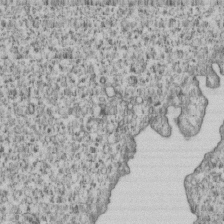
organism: Human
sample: MDA-MB-231 cells